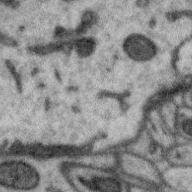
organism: Zebra finch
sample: Brain